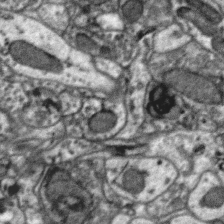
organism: Zebra finch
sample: Brain